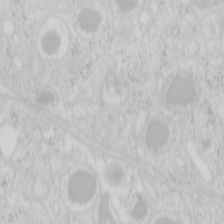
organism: Mouse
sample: Pancreas